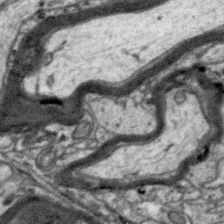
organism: Zebra finch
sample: Brain